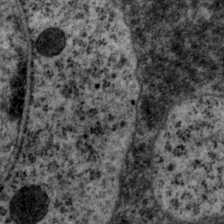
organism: P. pacificus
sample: Pharynx